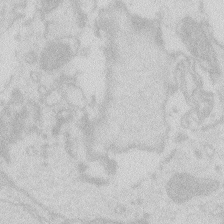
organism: Zebrafish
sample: Macrophage